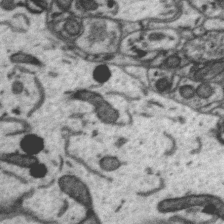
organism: Zebra finch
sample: Brain